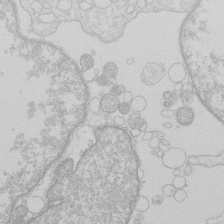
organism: Human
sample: Macrophage cells